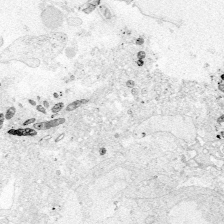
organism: Zebrafish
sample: Whole-Brain